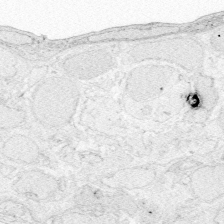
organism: Zebrafish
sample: Whole-Brain